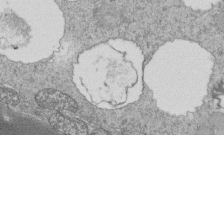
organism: Tetrahymena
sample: Cilia in tetrahymena